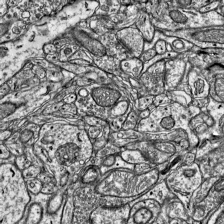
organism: Mouse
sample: Visual Cortex